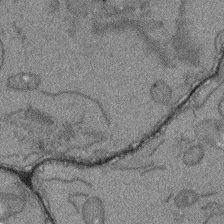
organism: Arabidopsis thaliana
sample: Root tip